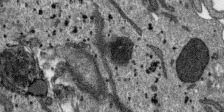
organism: Human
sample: Lung epithelial cells, uninfected (mock) control